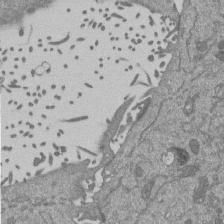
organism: Mouse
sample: ED-1 cell nuclei; centrioles